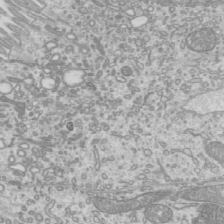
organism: Mouse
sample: Cilia; mouse epididymis